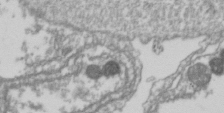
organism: Drosophila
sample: Cell division; meiosis; drosophila spermatocytes